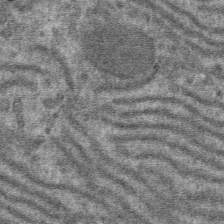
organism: Mouse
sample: Mouse hepatocytes